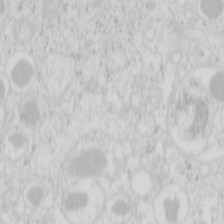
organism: Mouse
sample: Pancreas